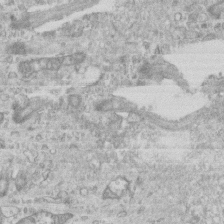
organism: Mouse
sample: Centriole in ependymal cells